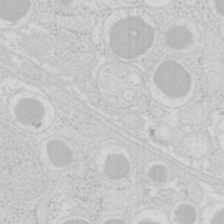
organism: Mouse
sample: Pancreas